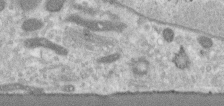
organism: Human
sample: Centriole in RPE cells